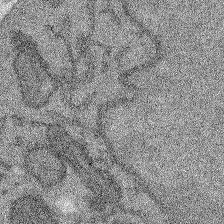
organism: Human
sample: HeLa cells